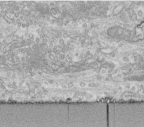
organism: Human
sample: Centriole in fibroblast cells